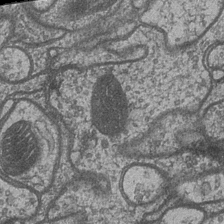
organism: Drosophila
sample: Optic medulla